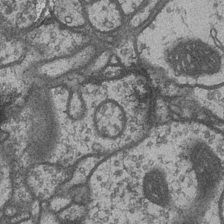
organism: Drosophila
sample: Optic medulla